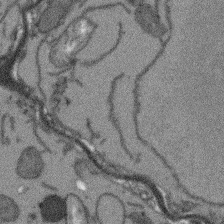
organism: Arabidopsis thaliana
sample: Root tip